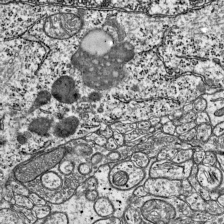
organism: Mouse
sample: Visual Cortex